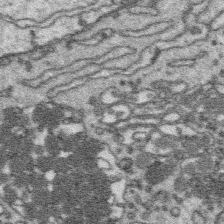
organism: Platynereis dumerilii